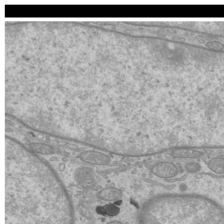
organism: Mouse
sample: Cilia; mouse epididymis